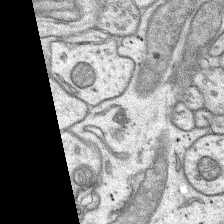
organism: Rat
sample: Hippocampus